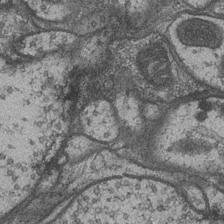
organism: Drosophila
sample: Optic medulla